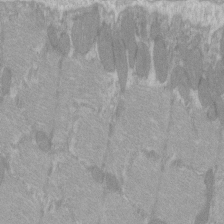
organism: C57BL Mouse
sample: Tibialis anterior muscle cell